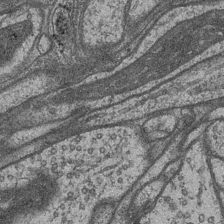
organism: Drosophila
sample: Optic medulla